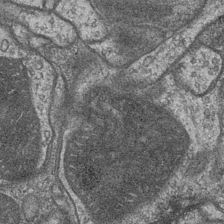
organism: Drosophila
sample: Optic medulla